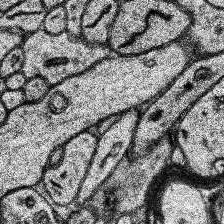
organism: Human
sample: Temporal Lobe